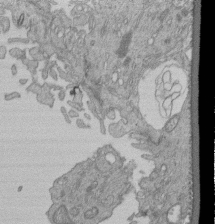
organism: Human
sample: Retinal organoid Rod and Cone cells